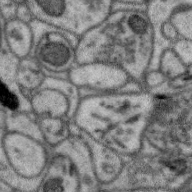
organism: Zebra finch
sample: Brain